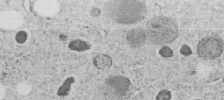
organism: C. elegans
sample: C. elegans embryo early stage